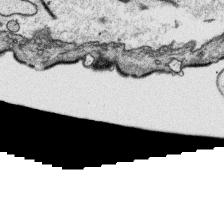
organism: Platynereis dumerilii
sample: Parapodia